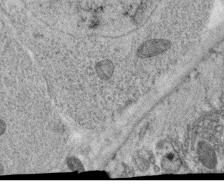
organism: C. elegans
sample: C. elegans oocyte; sperm cells